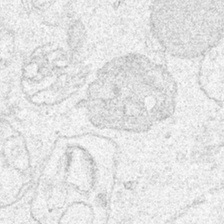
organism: Human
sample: Mitochondria in HCT116 cells